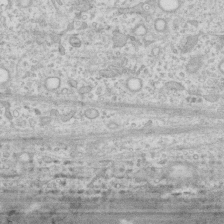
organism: Human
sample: Fibroblast cells